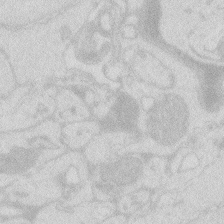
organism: Zebrafish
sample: Macrophage